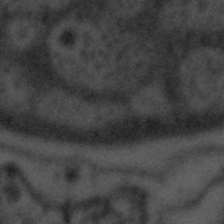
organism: Tuwongella immobilis